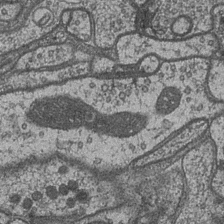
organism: Drosophila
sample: Optic medulla